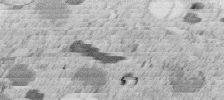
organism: C. elegans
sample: C. elegans embryo early stage